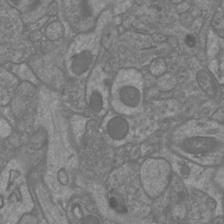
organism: Mouse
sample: Cortical neurons